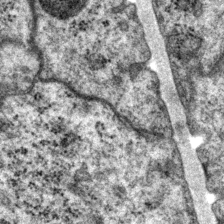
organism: P. pacificus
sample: Pharynx